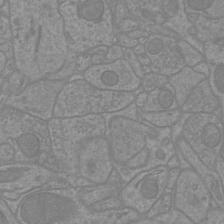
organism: Mouse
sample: Cortical neurons